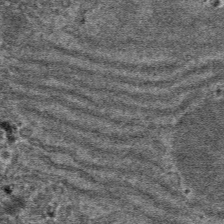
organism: Mouse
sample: Mouse hepatocytes